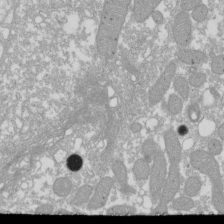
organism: Xenopus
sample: Cilia; centrioles in frog embryo cells